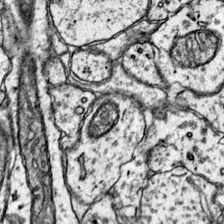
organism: Mouse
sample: Primary visual cortex